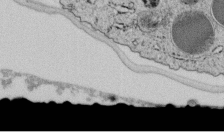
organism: C. elegans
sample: C. elegans embryo early stage